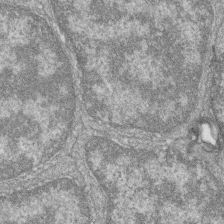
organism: Zebrafish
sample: Cilia; retinal pigment epithelium